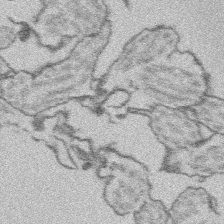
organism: Platynereis dumerilii